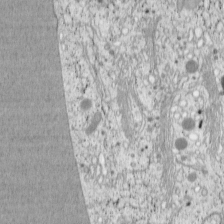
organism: African green monkey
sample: COS-7 cells